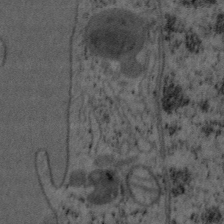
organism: Human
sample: HeLa cells